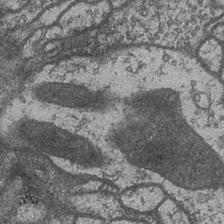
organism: Drosophila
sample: Optic medulla